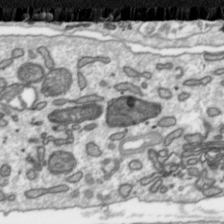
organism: Toxoplasma gondii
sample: Parasites in a vacuole inside a host cell